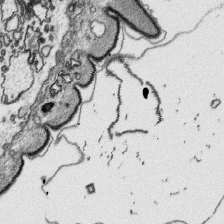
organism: Platynereis dumerilii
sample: Parapodia